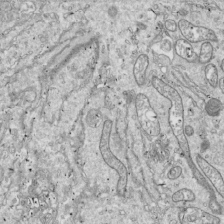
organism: Drosophila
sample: Cell division; meiosis; drosophila spermatocytes